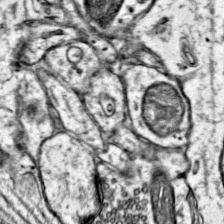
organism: Mouse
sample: Primary visual cortex